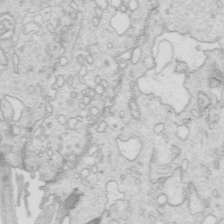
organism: Mouse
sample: Multiciliated cells